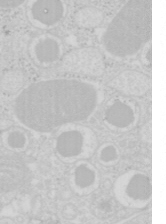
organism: Mouse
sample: Pancreas